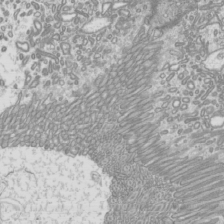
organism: Mouse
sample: Cilia; mouse epididymis